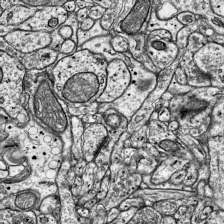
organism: Mouse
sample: Visual Cortex